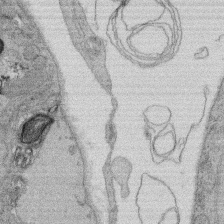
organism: Rat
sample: Salivary granule